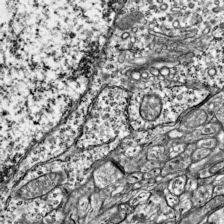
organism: Mouse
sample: Visual Cortex